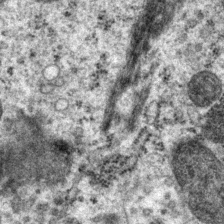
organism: P. pacificus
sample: Pharynx